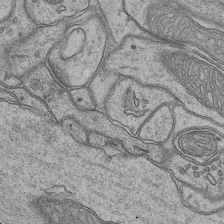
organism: Mouse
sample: CA1 Hippocampus